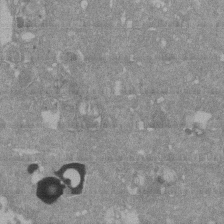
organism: Mouse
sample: ED-1 cell nuclei; centrioles